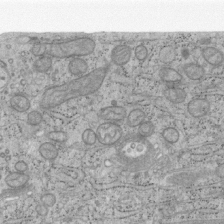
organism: Human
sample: HeLa cells